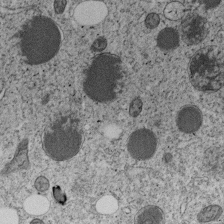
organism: C. elegans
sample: C. elegans embryo early stage